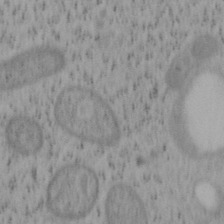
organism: Mouse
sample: OT-I killer T cells with ID8 ovarian cancer cells